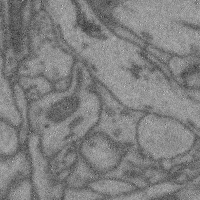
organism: Mouse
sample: Cerebral cortex